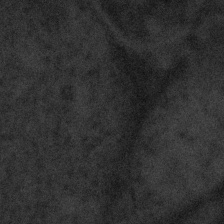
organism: Tuwongella immobilis